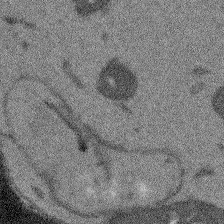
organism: Arabidopsis thaliana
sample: Root tip